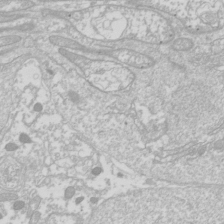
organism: Drosophila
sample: Cell division; meiosis; drosophila spermatocytes